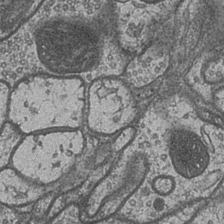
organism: Drosophila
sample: Optic medulla